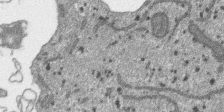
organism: Human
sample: Lung epithelial cells infected with SARS-CoV-2